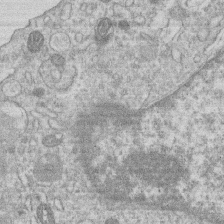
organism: Human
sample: Macrophage cells